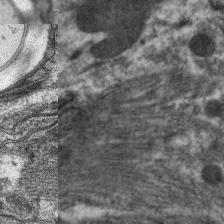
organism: C. elegans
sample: Pharynx